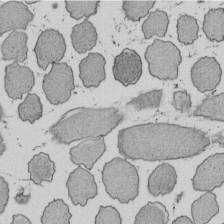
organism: E. coli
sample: Bacterial nucleoid